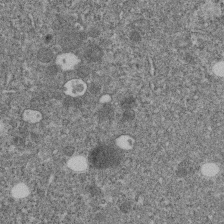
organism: C. elegans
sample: C. elegans embryo early stage